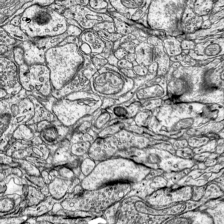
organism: Mouse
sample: Visual Cortex